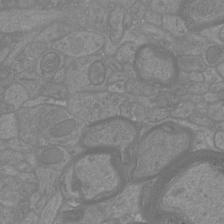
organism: Mouse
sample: Cortical neurons